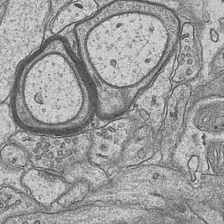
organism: Mouse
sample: CA1 Hippocampus